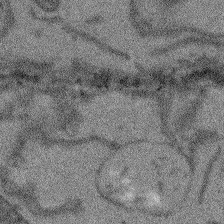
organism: Arabidopsis thaliana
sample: Root tip